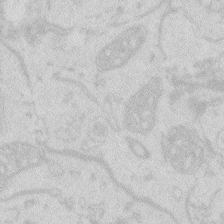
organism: Zebrafish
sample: Macrophage